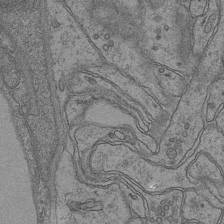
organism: Mouse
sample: CA1 Hippocampus